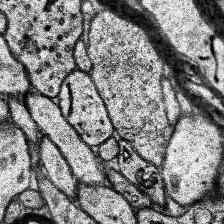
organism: Human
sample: Temporal Lobe